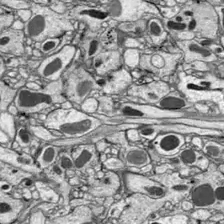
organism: Drosophila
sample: Optic lobe